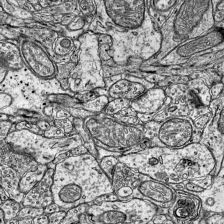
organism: Mouse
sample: Visual Cortex